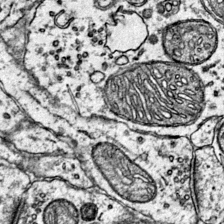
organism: Mouse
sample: Primary visual cortex